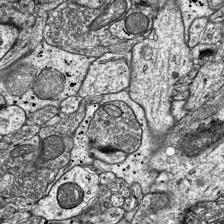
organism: Mouse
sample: Visual Cortex